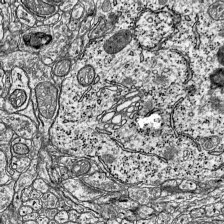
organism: Mouse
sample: Visual Cortex